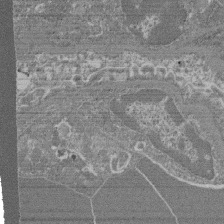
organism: Mouse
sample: Glomerulus